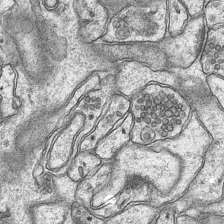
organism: Mouse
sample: CA1 Hippocampus